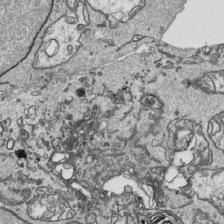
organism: Human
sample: Mitochondria in HCT116 cells